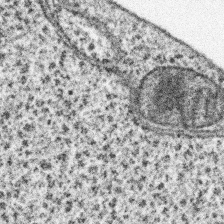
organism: Human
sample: HeLa cells